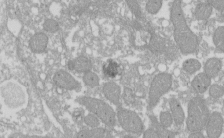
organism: Xenopus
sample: Cilia; centrioles in frog embryo cells